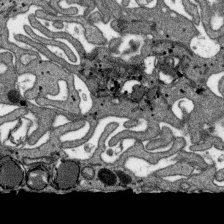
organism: Human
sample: Lung epithelial cells, uninfected (mock) control